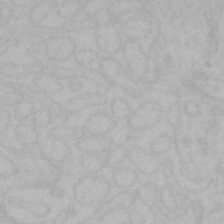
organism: Mouse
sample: Choroid plexus